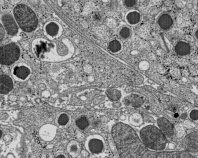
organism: C57BL Mouse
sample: Pancreatic islet